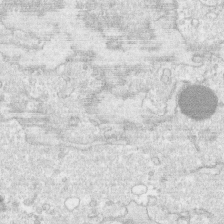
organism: Human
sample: CRL-1474